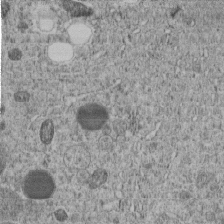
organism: C. elegans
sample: C. elegans embryo early stage